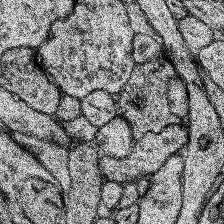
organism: Human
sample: Temporal Lobe